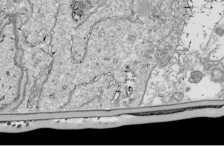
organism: Drosophila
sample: Cell division; meiosis; drosophila spermatocytes